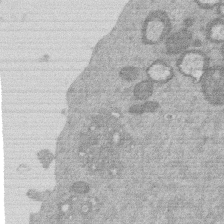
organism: Mouse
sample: Dividing mouse embryo 1 cell stage